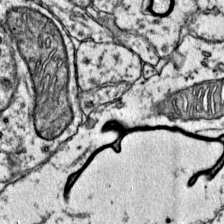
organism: Mouse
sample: Primary visual cortex